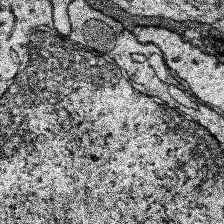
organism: Human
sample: Temporal Lobe